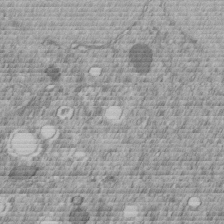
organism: C. elegans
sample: C. elegans embryo early stage